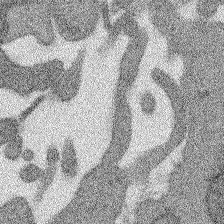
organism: Human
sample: HeLa cells